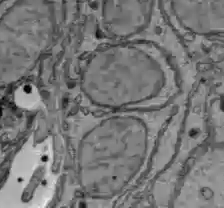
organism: C57BL Mouse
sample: Liver